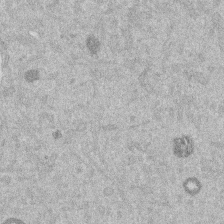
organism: Mouse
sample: Dividing mouse embryo 1 cell stage